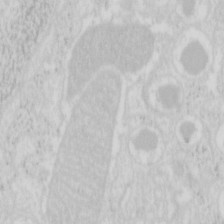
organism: Mouse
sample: Pancreas